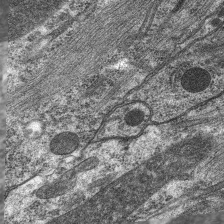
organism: C. elegans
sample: Pharynx